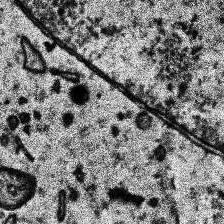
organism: Human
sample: Temporal Lobe